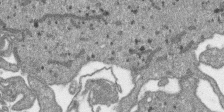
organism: Human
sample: Lung epithelial cells infected with SARS-CoV-2